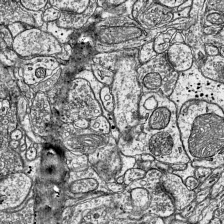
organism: Mouse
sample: Visual Cortex